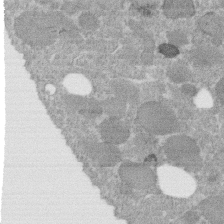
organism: C. elegans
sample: C. elegans embryo early stage